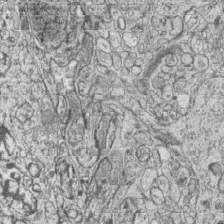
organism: Zebrafish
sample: synaptic ribbons in rod cells and cone cells